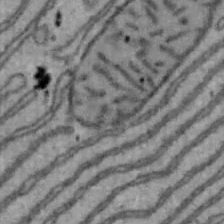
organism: Mouse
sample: Liver